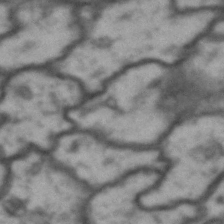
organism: Drosophila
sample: Brain